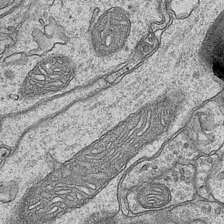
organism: Mouse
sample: CA1 Hippocampus